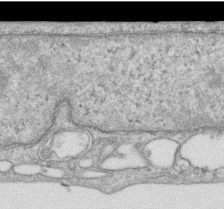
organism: Human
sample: Centriole in RPE cells